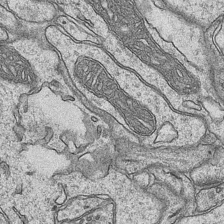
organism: Mouse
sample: CA1 Hippocampus